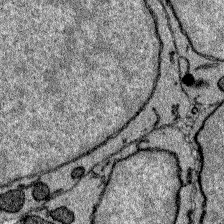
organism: Zebrafish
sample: Larval olfactory bulb